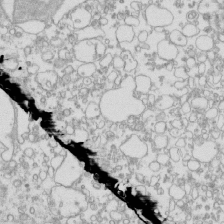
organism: Mouse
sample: Macrophages